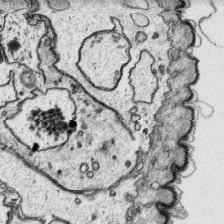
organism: Platynereis dumerilii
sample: Parapodia